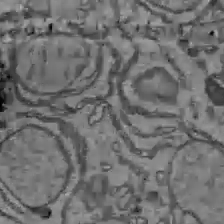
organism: C57BL Mouse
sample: Liver